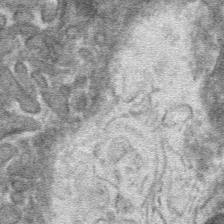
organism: Mouse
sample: Mouse hepatocytes